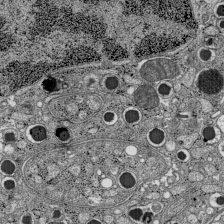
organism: C57BL Mouse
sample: Pancreatic islet